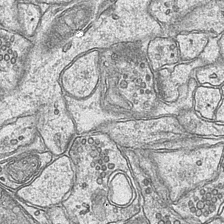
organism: Mouse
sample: CA1 Hippocampus